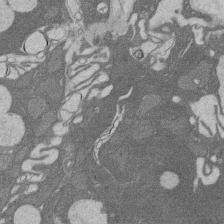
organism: Rat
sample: Salivary granule